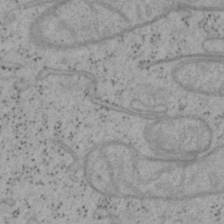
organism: Human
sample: HeLa cells